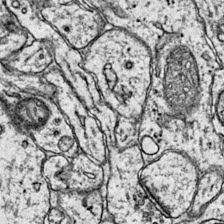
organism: Mouse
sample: Primary visual cortex